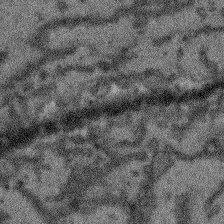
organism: Arabidopsis thaliana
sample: Root tip